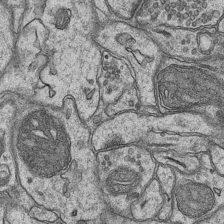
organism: Mouse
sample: CA1 Hippocampus